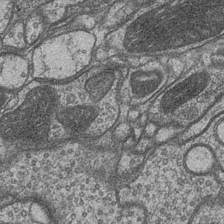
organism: Drosophila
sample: Optic medulla